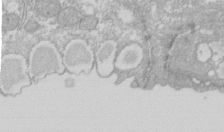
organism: Xenopus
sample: Cilia; centrioles in frog embryo cells